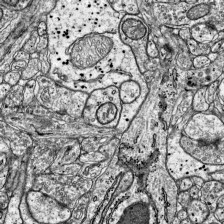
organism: Mouse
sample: Visual Cortex